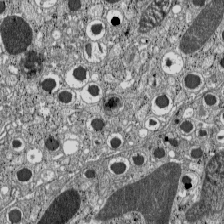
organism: C57BL Mouse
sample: Pancreatic islet